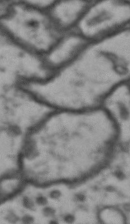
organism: Drosophila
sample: Brain